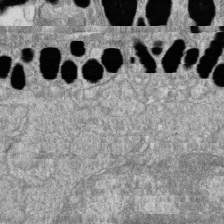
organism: Zebrafish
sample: Cilia; retinal pigment epithelium